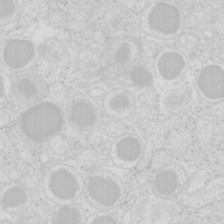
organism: Mouse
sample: Pancreas